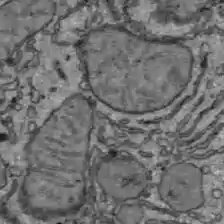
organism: C57BL Mouse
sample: Liver